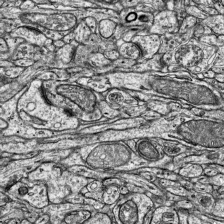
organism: Mouse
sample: Visual Cortex